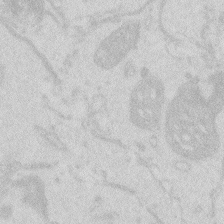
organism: Zebrafish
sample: Macrophage